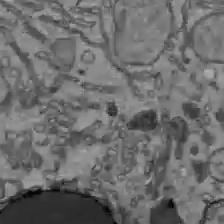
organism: C57BL Mouse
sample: Liver